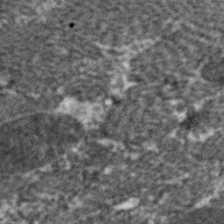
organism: C. elegans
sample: Pharynx